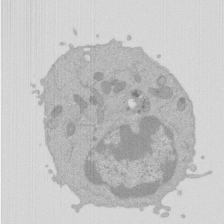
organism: Mouse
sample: Activated Pmel transgenic CD8+ T Cells